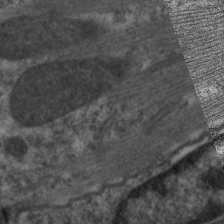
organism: C. elegans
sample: Pharynx